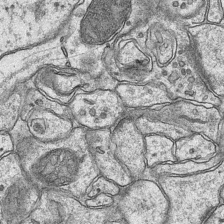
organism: Mouse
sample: CA1 Hippocampus